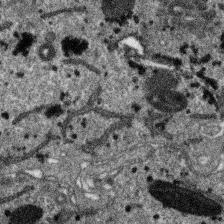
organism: Human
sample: Lung epithelial cells infected with SARS-CoV-2